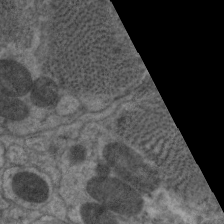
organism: C. elegans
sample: Pharynx